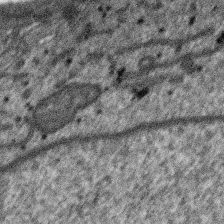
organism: Human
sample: Lung epithelial cells infected with SARS-CoV-2